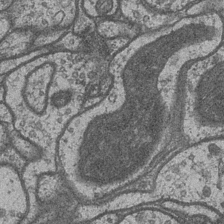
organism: Drosophila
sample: Optic medulla